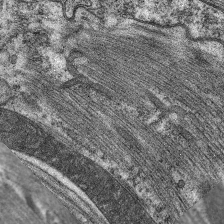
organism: C. elegans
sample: Pharynx